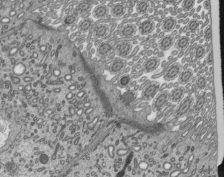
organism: Mouse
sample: Mouse epididymis efferent ductule cilia